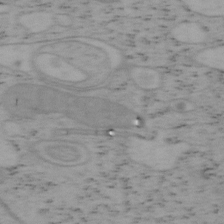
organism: Mouse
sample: OT-I killer T cells with ID8 ovarian cancer cells